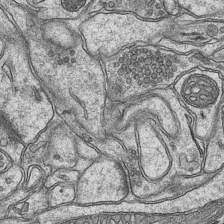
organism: Mouse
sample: CA1 Hippocampus